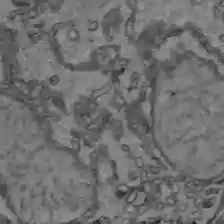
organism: C57BL Mouse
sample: Liver